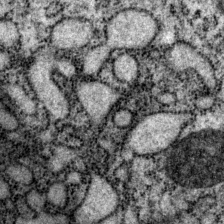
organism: P. pacificus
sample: Pharynx